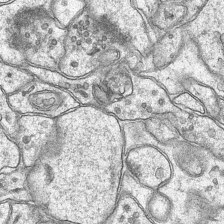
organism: Mouse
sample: CA1 Hippocampus